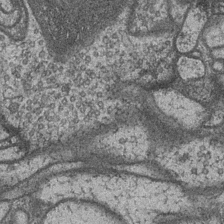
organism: Drosophila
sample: Optic medulla